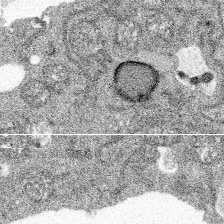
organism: Spongilla lacustris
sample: Multiple